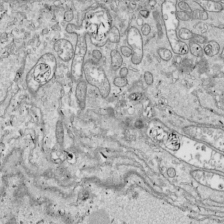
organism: Drosophila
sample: Cell division; meiosis; drosophila spermatocytes